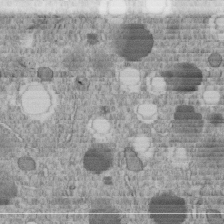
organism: C. elegans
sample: C. elegans embryo early stage